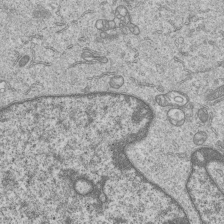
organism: Human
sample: MDA-MB-231 cells